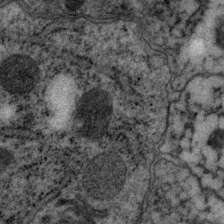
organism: P. pacificus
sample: Pharynx